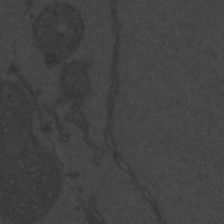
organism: Zebrafish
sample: Macrophage infected with Toxoplasma gondii